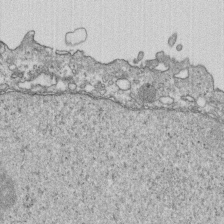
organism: Human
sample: HeLa cell HIV synapse